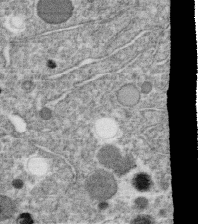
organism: C. elegans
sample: C. elegans oocyte; sperm cells